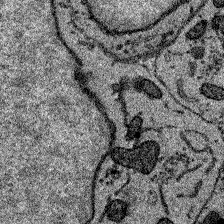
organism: Zebrafish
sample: Larval olfactory bulb